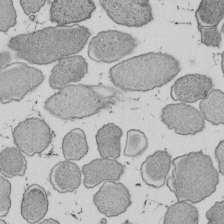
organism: E. coli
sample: Bacterial nucleoid